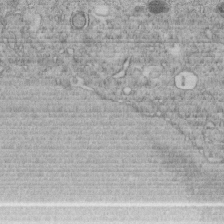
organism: C. elegans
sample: C. elegans embryo early stage